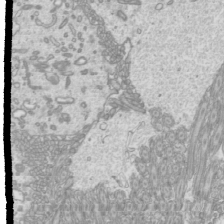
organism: Mouse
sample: Cilia; mouse epididymis